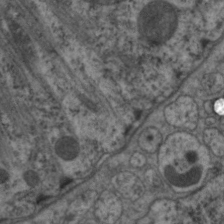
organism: C. elegans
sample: Pharynx